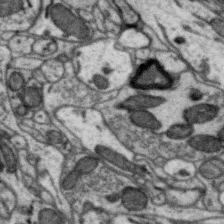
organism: Zebra finch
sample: Brain